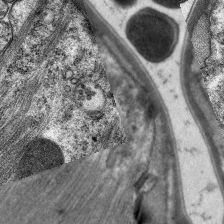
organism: C. elegans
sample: Pharynx